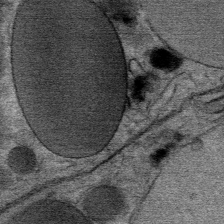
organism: Mouse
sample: Mouse Salivary gland